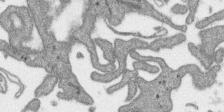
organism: Human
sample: Lung epithelial cells infected with SARS-CoV-2